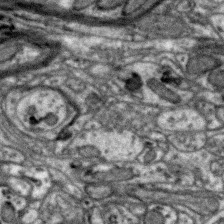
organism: Zebra finch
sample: Brain